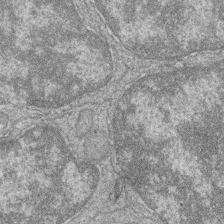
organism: Zebrafish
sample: Cilia; retinal pigment epithelium